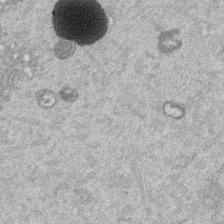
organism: Mouse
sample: Dividing mouse embryo 1 cell stage